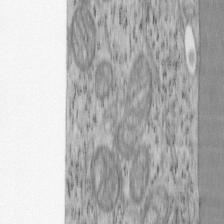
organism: Human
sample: HeLa cells